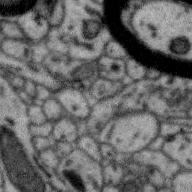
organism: Zebra finch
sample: Brain